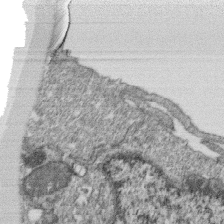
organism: African green monkey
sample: Vero E6 cells infected with SARS-CoV-2